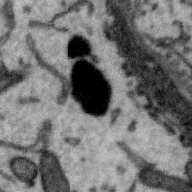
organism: Zebra finch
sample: Brain